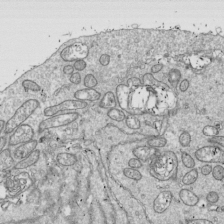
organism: Drosophila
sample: Cell division; meiosis; drosophila spermatocytes